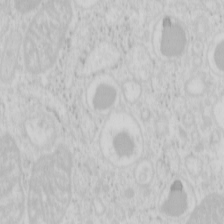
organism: Mouse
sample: Pancreas